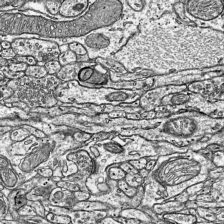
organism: Mouse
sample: Visual Cortex